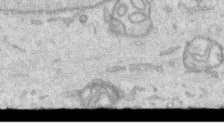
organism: Human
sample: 1205lu cells